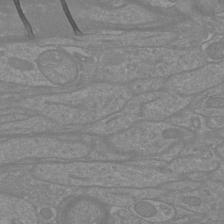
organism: Mouse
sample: Cortical neurons